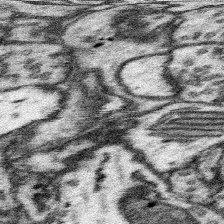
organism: Mouse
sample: Somatosensory cortex neuropil